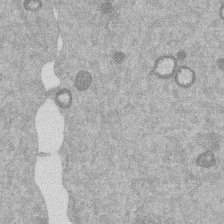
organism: Mouse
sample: Dividing mouse embryo 1 cell stage